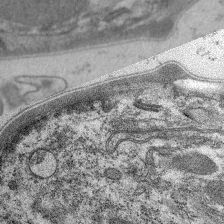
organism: C. elegans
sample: Pharynx